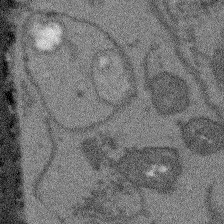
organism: Arabidopsis thaliana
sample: Root tip